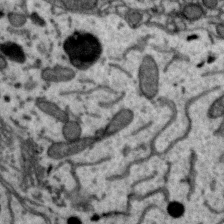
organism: Zebra finch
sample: Brain